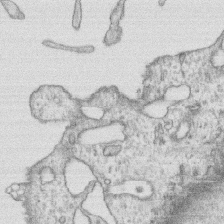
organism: Human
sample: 1205lu cells